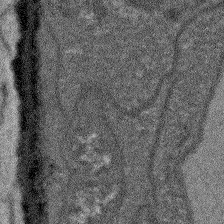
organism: Arabidopsis thaliana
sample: Root tip